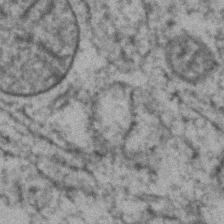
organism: Zebrafish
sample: Zebrafish embryo